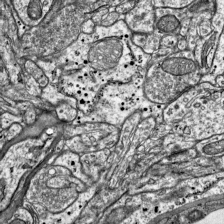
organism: Mouse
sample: Visual Cortex